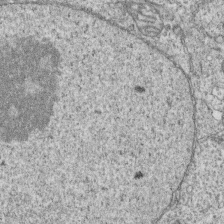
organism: Human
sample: HeLa cell HIV synapse